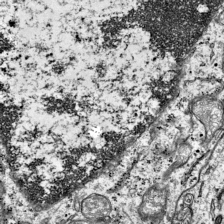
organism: Mouse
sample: Visual Cortex